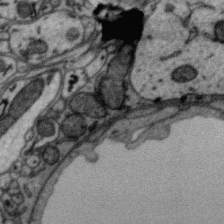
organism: Zebra finch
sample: Brain